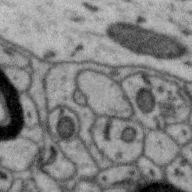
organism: Zebra finch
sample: Brain